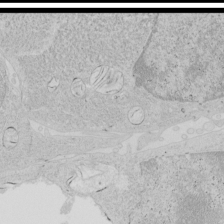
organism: Human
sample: Mitochondria in HCT116 cells